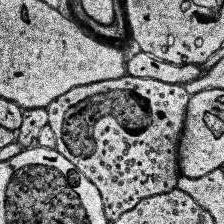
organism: Human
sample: Temporal Lobe